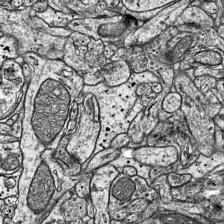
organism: Mouse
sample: Visual Cortex